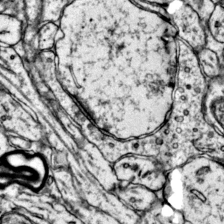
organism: Mouse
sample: Primary visual cortex